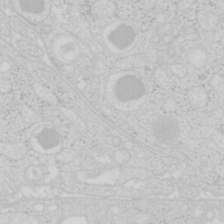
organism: Mouse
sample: Pancreas